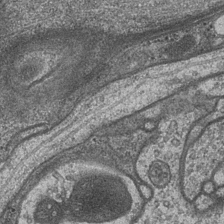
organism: Drosophila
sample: Optic medulla